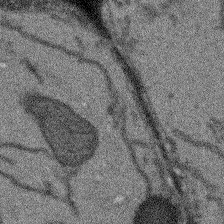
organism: Arabidopsis thaliana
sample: Root tip